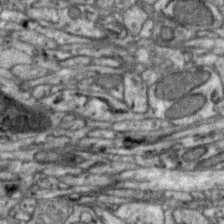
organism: Zebra finch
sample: Brain